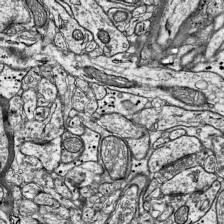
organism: Mouse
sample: Visual Cortex